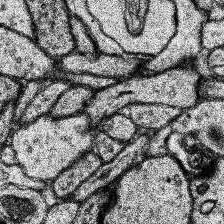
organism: Human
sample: Temporal Lobe